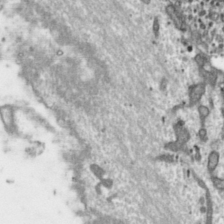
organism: Toxoplasma gondii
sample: Parasites in a vacuole inside a host cell